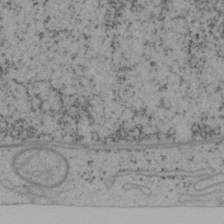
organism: Human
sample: HeLa cells